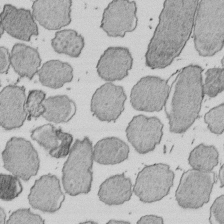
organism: E. coli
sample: Bacterial nucleoid